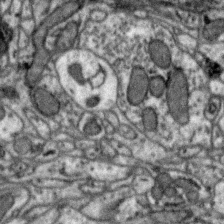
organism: Zebra finch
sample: Brain